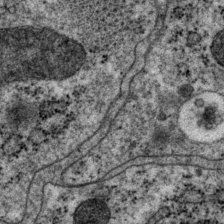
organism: P. pacificus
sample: Pharynx